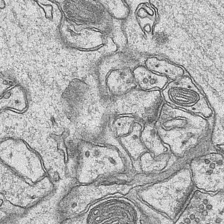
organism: Mouse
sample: CA1 Hippocampus